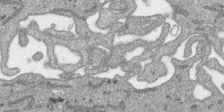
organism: Human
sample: Lung epithelial cells infected with SARS-CoV-2